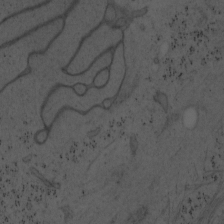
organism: Mouse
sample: OT-I killer T cells with ID8 ovarian cancer cells